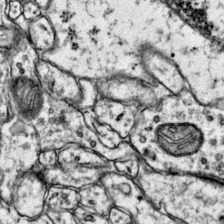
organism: Mouse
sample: Primary visual cortex